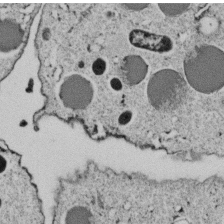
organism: C. elegans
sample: C. elegans embryo early stage